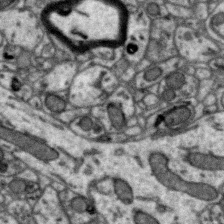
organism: Zebra finch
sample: Brain